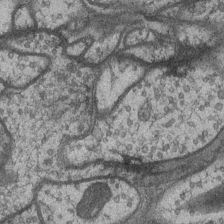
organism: Drosophila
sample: Optic medulla